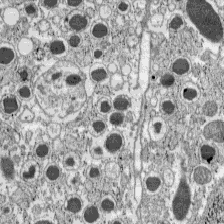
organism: C57BL Mouse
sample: Pancreatic islet